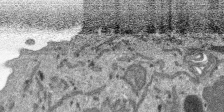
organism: Human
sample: Lung epithelial cells infected with SARS-CoV-2